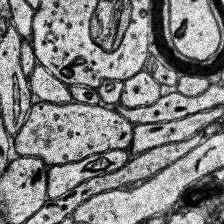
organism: Human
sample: Temporal Lobe